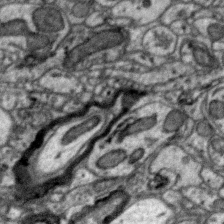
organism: Zebra finch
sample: Brain